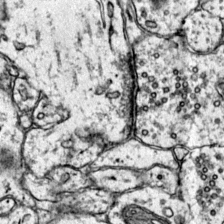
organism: Mouse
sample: Primary visual cortex